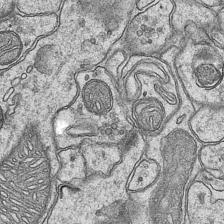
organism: Mouse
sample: CA1 Hippocampus